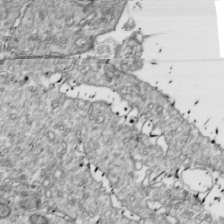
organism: Drosophila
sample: Cell division; meiosis; drosophila spermatocytes